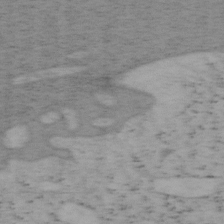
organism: Mouse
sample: OT-I killer T cells with ID8 ovarian cancer cells